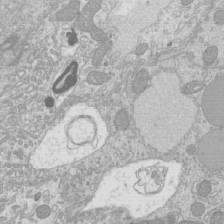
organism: Mouse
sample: Cilia; mouse epididymis